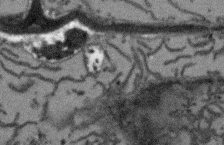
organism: Arabidopsis thaliana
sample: Root tip